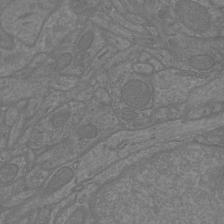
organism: Mouse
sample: Cortical neurons